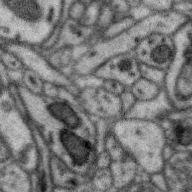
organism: Zebra finch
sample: Brain